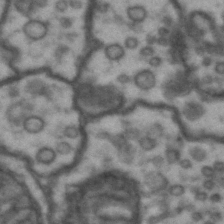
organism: Drosophila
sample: Brain